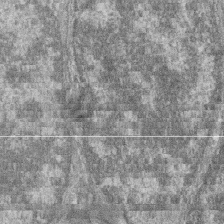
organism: Zebrafish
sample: Cilia; retinal pigment epithelium